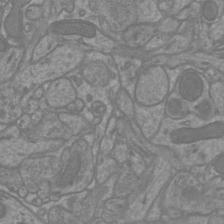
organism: Mouse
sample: Cortical neurons